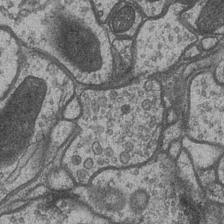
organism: Drosophila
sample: Optic medulla